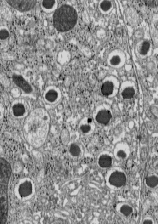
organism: C57BL Mouse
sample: Pancreatic islet